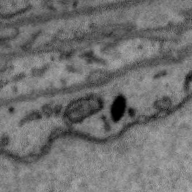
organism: Zebra finch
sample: Brain